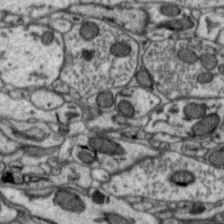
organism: Zebra finch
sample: Brain